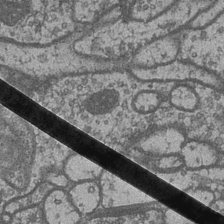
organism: Drosophila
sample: Optic medulla